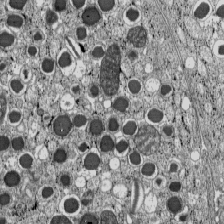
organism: C57BL Mouse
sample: Pancreatic islet